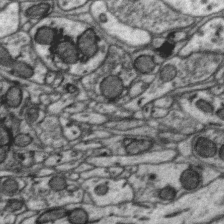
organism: Zebra finch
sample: Brain